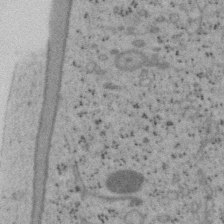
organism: Human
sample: HeLa cells